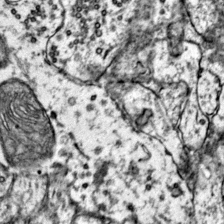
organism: Mouse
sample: Primary visual cortex